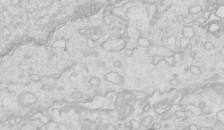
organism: Mouse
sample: Multiciliated cells